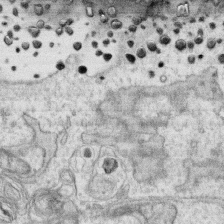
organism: Human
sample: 1205lu cells